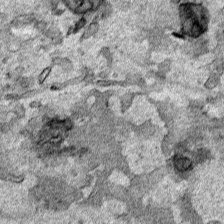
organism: Human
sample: Mitochondria in HCT116 cells